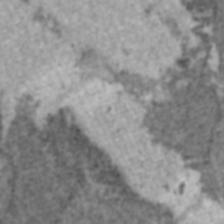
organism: C57BL Mouse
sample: Heart